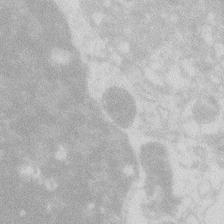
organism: Zebrafish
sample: Macrophage